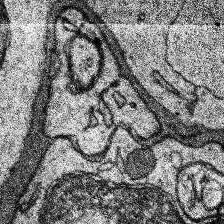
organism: Human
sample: Temporal Lobe